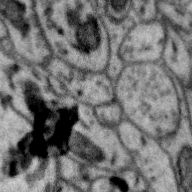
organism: Zebra finch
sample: Brain